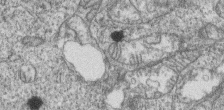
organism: Human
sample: HeLa cell HIV synapse